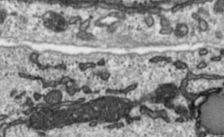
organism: Toxoplasma gondii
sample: Parasites in a vacuole inside a host cell